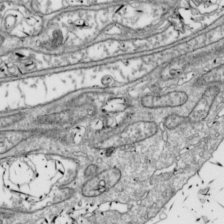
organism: Drosophila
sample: Cell division; meiosis; drosophila spermatocytes